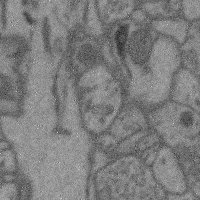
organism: Mouse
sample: Cerebral cortex